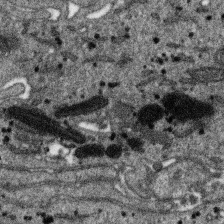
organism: Human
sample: Lung epithelial cells infected with SARS-CoV-2